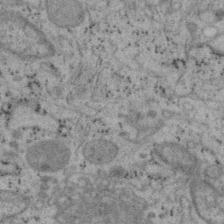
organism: Human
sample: HeLa cells